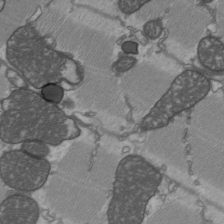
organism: C57BL Mouse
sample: Heart